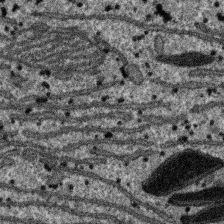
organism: Human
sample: Lung epithelial cells infected with SARS-CoV-2